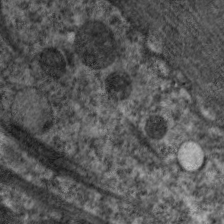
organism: C. elegans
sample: Pharynx